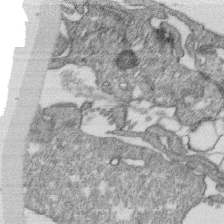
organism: African green monkey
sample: Vero E6 cells infected with SARS-CoV-2